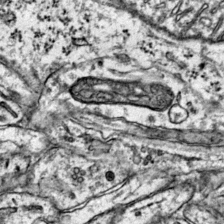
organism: Mouse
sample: Primary visual cortex